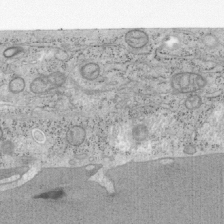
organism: Human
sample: HeLa cells